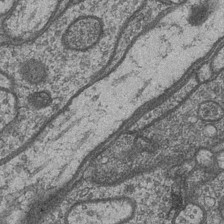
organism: Drosophila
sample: Optic medulla